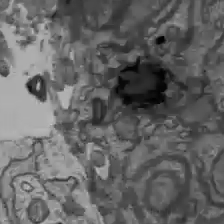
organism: C57BL Mouse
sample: Liver